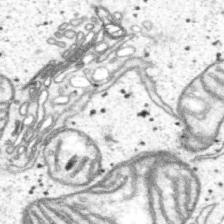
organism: Human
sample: HeLa cells